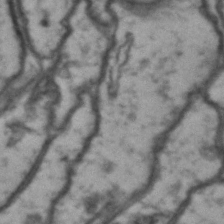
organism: Drosophila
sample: Brain